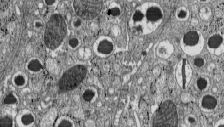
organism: C57BL Mouse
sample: Pancreatic islet